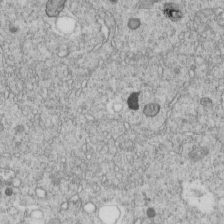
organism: C. elegans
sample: C. elegans embryo early stage